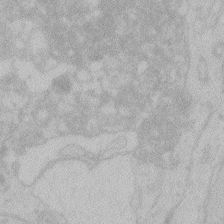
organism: Zebrafish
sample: Macrophage infected with Toxoplasma gondii